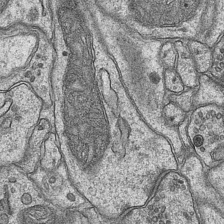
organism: Mouse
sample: CA1 Hippocampus